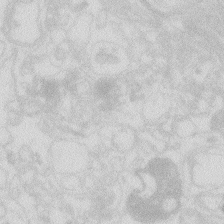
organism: Zebrafish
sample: Macrophage